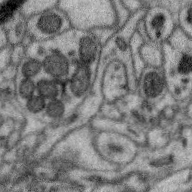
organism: Zebra finch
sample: Brain